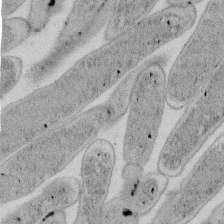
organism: E. coli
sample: Bacterial nucleoid